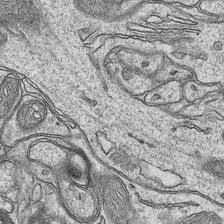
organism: Mouse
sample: CA1 Hippocampus